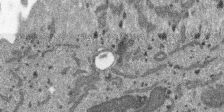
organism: Human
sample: Lung epithelial cells infected with SARS-CoV-2